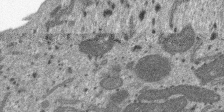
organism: Human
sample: Lung epithelial cells infected with SARS-CoV-2